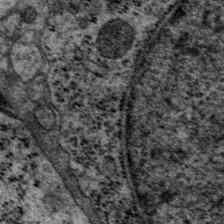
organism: P. pacificus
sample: Pharynx